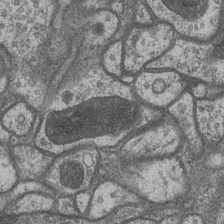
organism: Drosophila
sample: Optic medulla